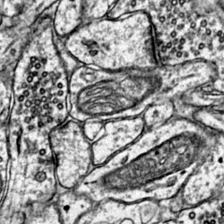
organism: Mouse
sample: Primary visual cortex